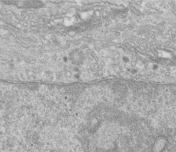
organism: Human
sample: Centriole in fibroblast cells